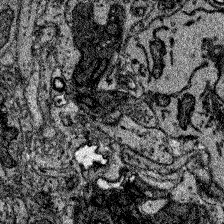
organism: Zebrafish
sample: Larval olfactory bulb